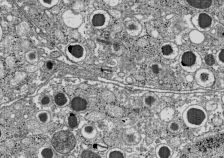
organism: C57BL Mouse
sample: Pancreatic islet